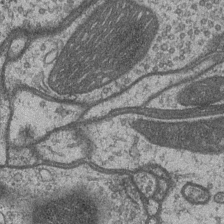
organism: Drosophila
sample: Optic medulla